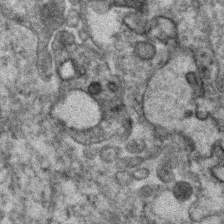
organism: Human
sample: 1205lu cells